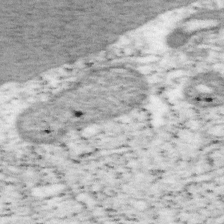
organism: Mouse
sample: OT-I killer T cells with ID8 ovarian cancer cells